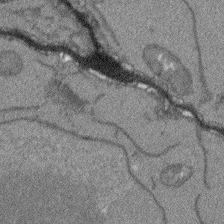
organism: Arabidopsis thaliana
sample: Root tip